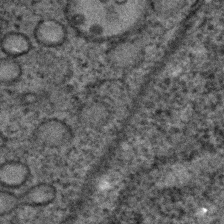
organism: C. elegans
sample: C. elegans embryo